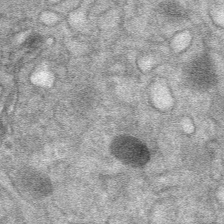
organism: Mouse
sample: Mouse Salivary gland